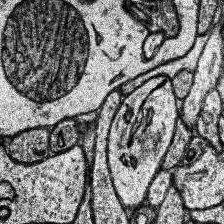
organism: Human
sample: Temporal Lobe